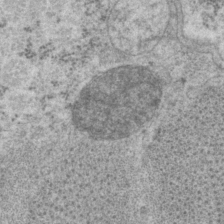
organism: P. pacificus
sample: Pharynx